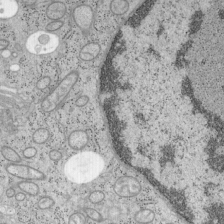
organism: Mouse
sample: OT-I killer T cells with ID8 ovarian cancer cells